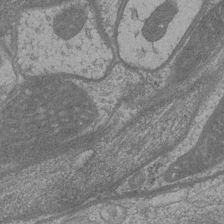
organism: Drosophila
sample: Optic medulla